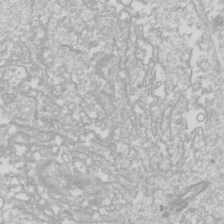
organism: Drosophila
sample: Cell division; meiosis; drosophila spermatocytes